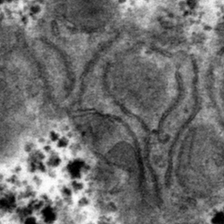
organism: Mouse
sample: Mouse hepatocytes